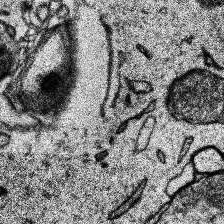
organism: Human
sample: Temporal Lobe